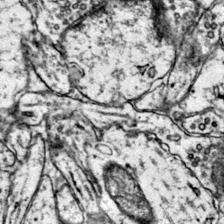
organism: Mouse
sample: Primary visual cortex